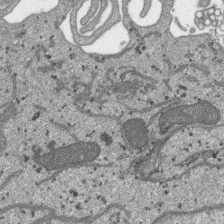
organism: Human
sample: Lung epithelial cells infected with SARS-CoV-2